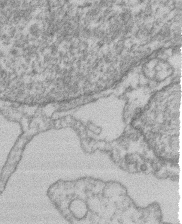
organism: Mouse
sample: T cell stromal cell synapse